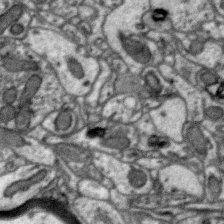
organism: Zebra finch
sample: Brain